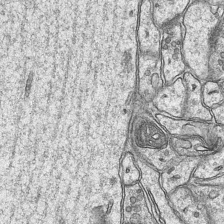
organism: Mouse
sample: CA1 Hippocampus